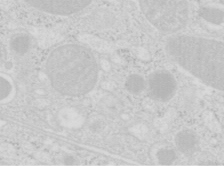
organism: Mouse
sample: Pancreas